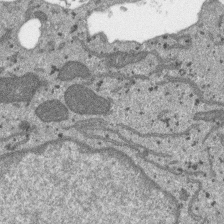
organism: Human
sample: Lung epithelial cells infected with SARS-CoV-2